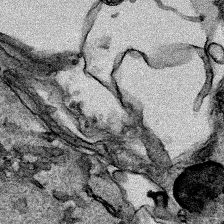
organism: Human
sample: Mitochondria in HCT116 cells